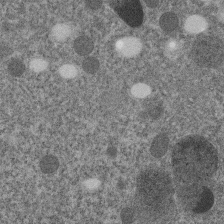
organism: C. elegans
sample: C. elegans embryo early stage